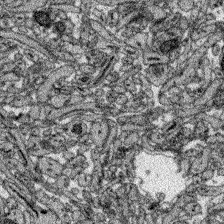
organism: Zebrafish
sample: Larval olfactory bulb